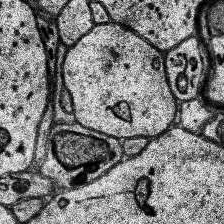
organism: Human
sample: Temporal Lobe